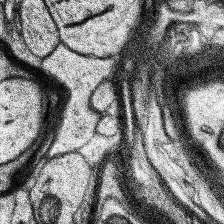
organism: Human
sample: Temporal Lobe